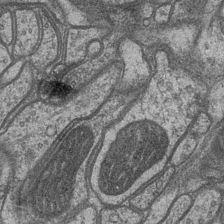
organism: Drosophila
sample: Optic medulla